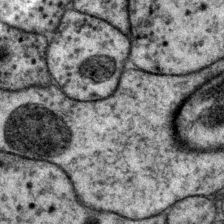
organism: P. pacificus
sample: Pharynx